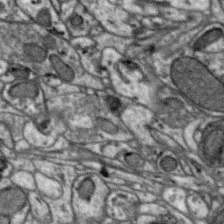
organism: Zebra finch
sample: Brain